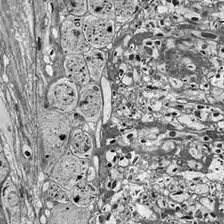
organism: Drosophila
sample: Optic lobe